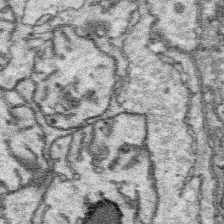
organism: Platynereis dumerilii